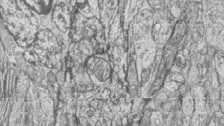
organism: Zebrafish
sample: synaptic ribbons in rod cells and cone cells